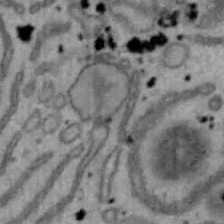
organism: Mouse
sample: Liver